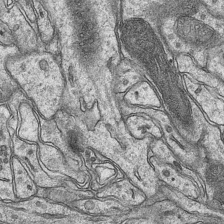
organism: Mouse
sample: CA1 Hippocampus